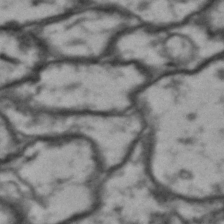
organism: Drosophila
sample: Brain